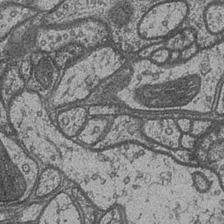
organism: Drosophila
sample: Optic medulla